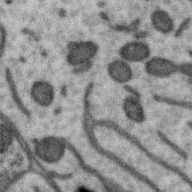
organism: Zebra finch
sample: Brain